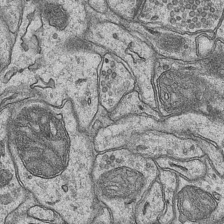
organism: Mouse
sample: CA1 Hippocampus